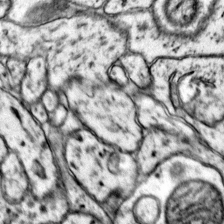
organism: Mouse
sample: Primary visual cortex